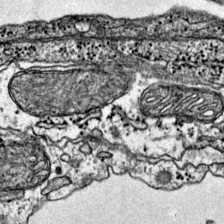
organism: Mouse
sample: Primary visual cortex